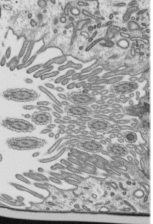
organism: Mouse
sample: Mouse epididymis efferent ductule cilia